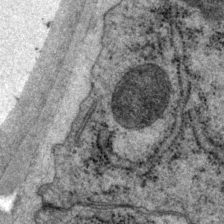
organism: P. pacificus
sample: Pharynx